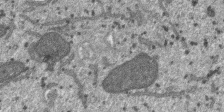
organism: Human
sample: Lung epithelial cells infected with SARS-CoV-2